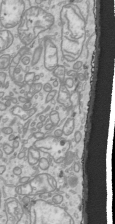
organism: Human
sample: Mitochondria in HCT116 cells